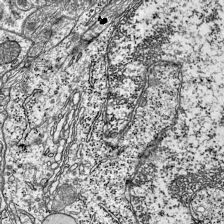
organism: Mouse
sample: Visual Cortex